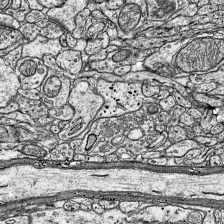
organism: Mouse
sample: Visual Cortex